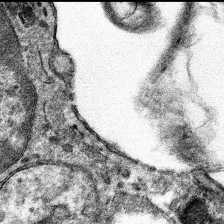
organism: Mouse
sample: Mouse hepatocytes